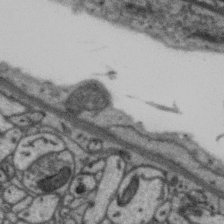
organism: Zebra finch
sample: Brain